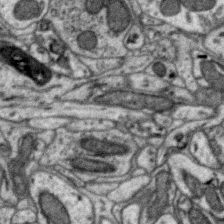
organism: Zebra finch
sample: Brain